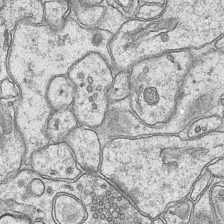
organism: Mouse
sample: CA1 Hippocampus